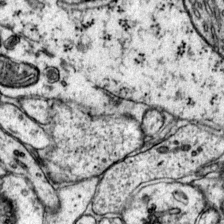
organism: Mouse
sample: Primary visual cortex